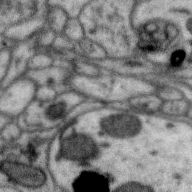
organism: Zebra finch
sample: Brain